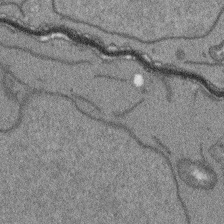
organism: Arabidopsis thaliana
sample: Root tip